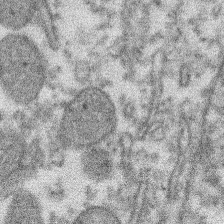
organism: Xenopus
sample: Cilia; centrioles in frog embryo cells